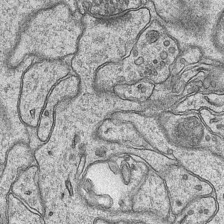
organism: Mouse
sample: CA1 Hippocampus